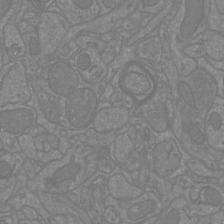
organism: Mouse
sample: Cortical neurons